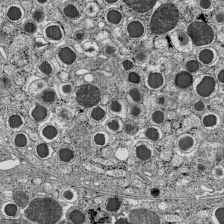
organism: C57BL Mouse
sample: Pancreatic islet